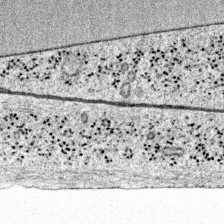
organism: Human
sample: HeLa cells